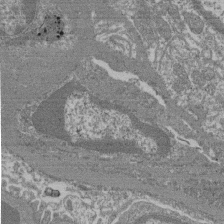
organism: Mouse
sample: Glomerulus